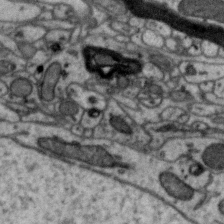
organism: Zebra finch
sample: Brain